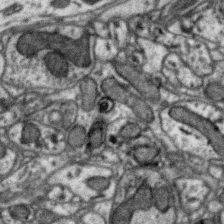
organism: Zebra finch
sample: Brain